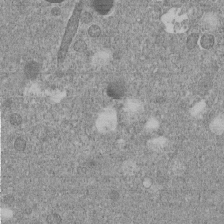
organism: C. elegans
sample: C. elegans embryo early stage